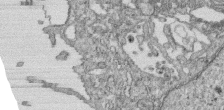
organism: Human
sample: HeLa cell HIV synapse